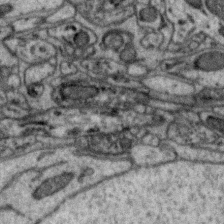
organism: Zebra finch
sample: Brain